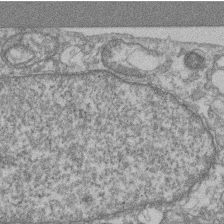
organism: Mouse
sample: T cell stromal cell synapse